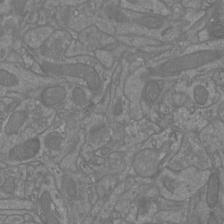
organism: Mouse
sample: Cortical neurons